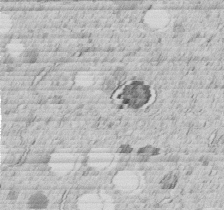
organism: C. elegans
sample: C. elegans embryo early stage